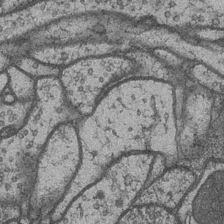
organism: Drosophila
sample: Optic medulla